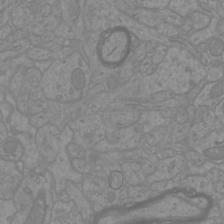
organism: Mouse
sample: Cortical neurons